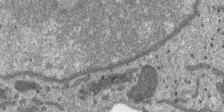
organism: Human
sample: Lung epithelial cells infected with SARS-CoV-2